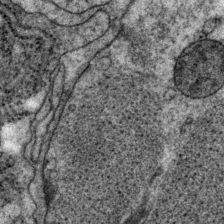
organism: P. pacificus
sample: Pharynx